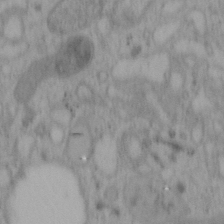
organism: Mouse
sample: OT-I killer T cells with ID8 ovarian cancer cells